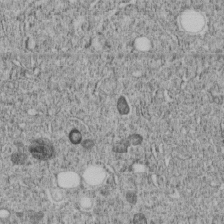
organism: C. elegans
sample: C. elegans embryo early stage